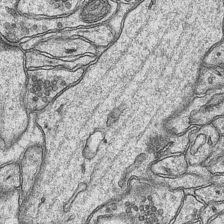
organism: Mouse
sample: CA1 Hippocampus